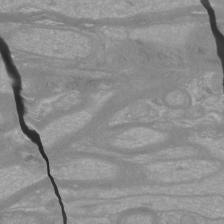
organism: Mouse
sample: Cortical neurons